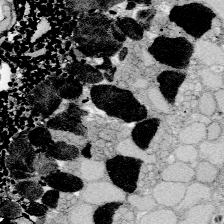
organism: Zebrafish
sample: Whole-Brain